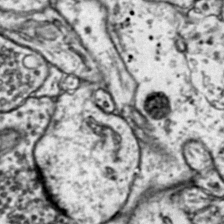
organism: Mouse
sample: Primary visual cortex